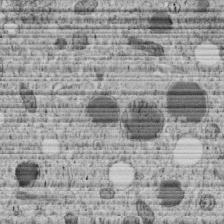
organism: C. elegans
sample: C. elegans embryo early stage